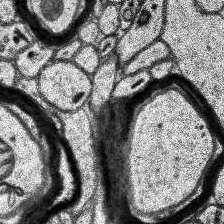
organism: Human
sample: Temporal Lobe